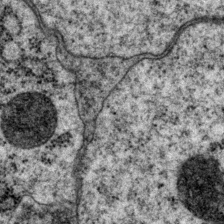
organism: P. pacificus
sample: Pharynx